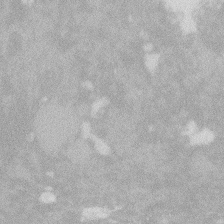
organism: Zebrafish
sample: Macrophage